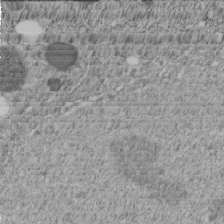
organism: C. elegans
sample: C. elegans embryo early stage